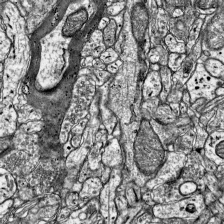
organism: Mouse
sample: Visual Cortex